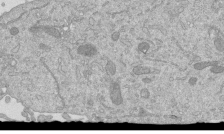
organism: Mouse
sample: ED-1 cell nuclei; centrioles